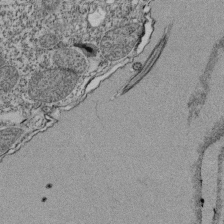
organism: Tetrahymena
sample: Cilia in tetrahymena